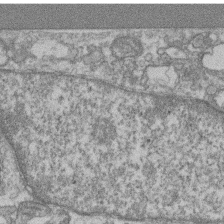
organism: Mouse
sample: T cell stromal cell synapse